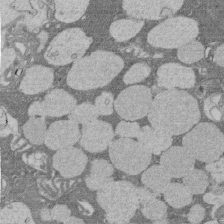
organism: Rat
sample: Salivary granule